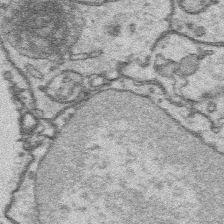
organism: Platynereis dumerilii